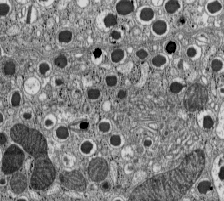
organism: C57BL Mouse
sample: Pancreatic islet